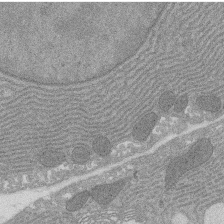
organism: Rat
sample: Salivary granule